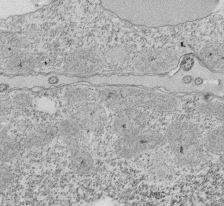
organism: Tetrahymena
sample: Cilia in tetrahymena